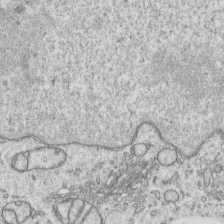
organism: Human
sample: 1205lu cells